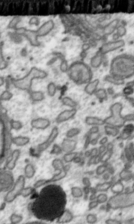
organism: Toxoplasma gondii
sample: Parasites in a vacuole inside a host cell